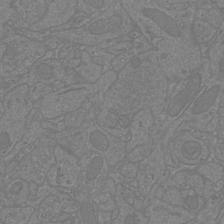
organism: Mouse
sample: Cortical neurons